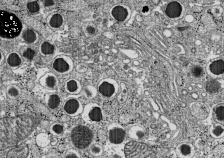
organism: C57BL Mouse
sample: Pancreatic islet